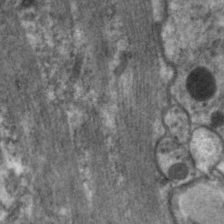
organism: C. elegans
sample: Pharynx